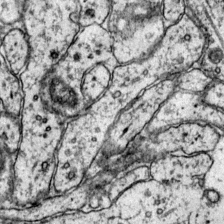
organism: Mouse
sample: Primary visual cortex